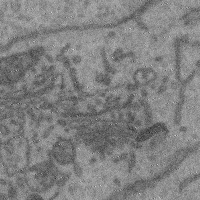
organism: Mouse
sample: Cerebral cortex